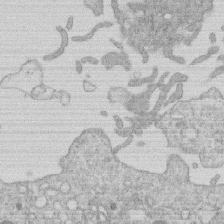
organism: Human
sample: Macrophage cells